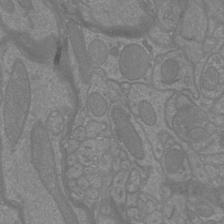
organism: Mouse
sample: Cortical neurons